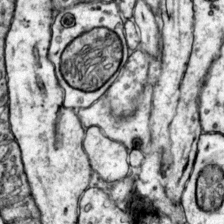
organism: Mouse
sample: Primary visual cortex